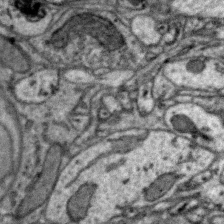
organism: Zebra finch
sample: Brain